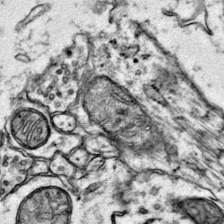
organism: Mouse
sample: Primary visual cortex